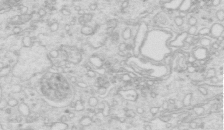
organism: Mouse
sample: Multiciliated cells